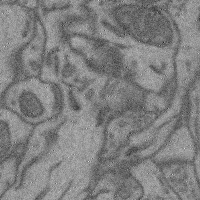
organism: Mouse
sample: Cerebral cortex